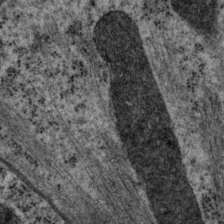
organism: P. pacificus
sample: Pharynx